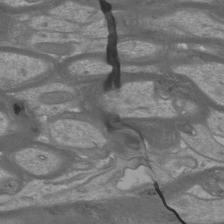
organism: Mouse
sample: Cortical neurons